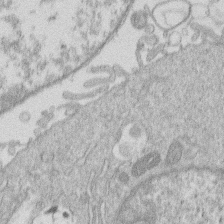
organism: Human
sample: Macrophage cells